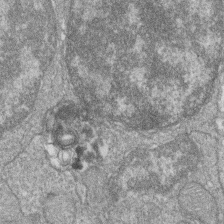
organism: Zebrafish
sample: Cilia; retinal pigment epithelium